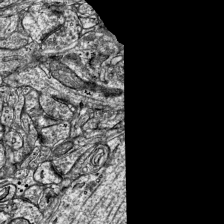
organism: Mouse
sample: Visual Cortex